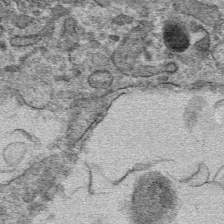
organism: Mouse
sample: Mouse hepatocytes